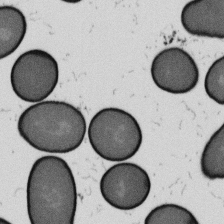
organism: B. subtilis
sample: Bacterial spore